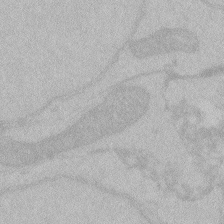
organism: Zebrafish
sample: Macrophage infected with Toxoplasma gondii